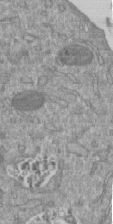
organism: Mouse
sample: ED-1 cell nuclei; centrioles